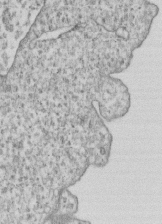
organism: Human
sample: MDA-MB-231 cells